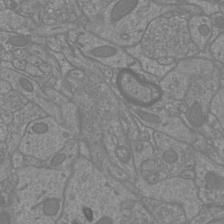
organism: Mouse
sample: Cortical neurons